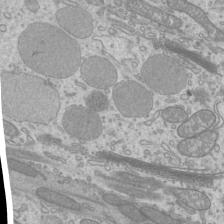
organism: Mouse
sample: Cilia; mouse epididymis